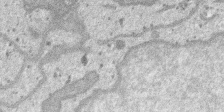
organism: Human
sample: Lung epithelial cells infected with SARS-CoV-2